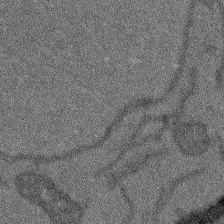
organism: Arabidopsis thaliana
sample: Root tip